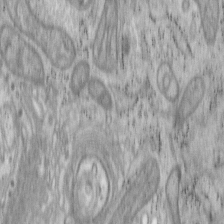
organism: Human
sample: HeLa cells